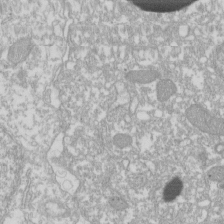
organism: Xenopus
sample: Cilia; centrioles in frog embryo cells